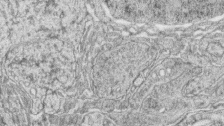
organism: Zebrafish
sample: synaptic ribbons in rod cells and cone cells